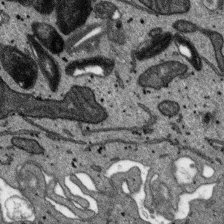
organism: Human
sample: Lung epithelial cells, uninfected (mock) control